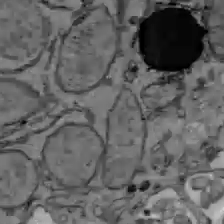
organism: C57BL Mouse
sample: Liver